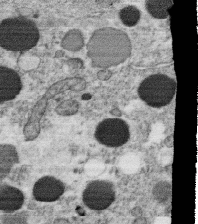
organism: C. elegans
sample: C. elegans oocyte; sperm cells